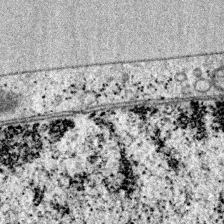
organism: Human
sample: HeLa cells